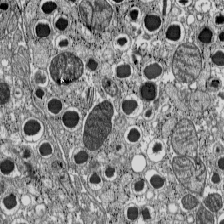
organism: C57BL Mouse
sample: Pancreatic islet